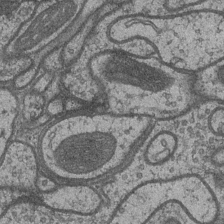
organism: Drosophila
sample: Optic medulla